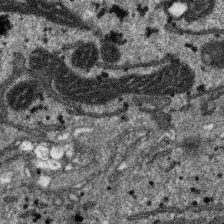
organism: Human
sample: Lung epithelial cells infected with SARS-CoV-2